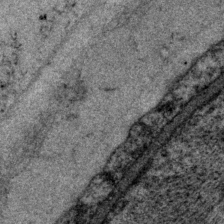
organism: P. pacificus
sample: Pharynx